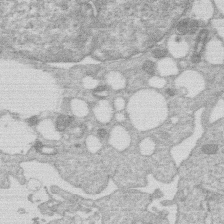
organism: Human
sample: Macrophage cells